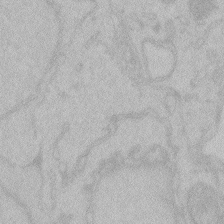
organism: Zebrafish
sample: Macrophage infected with Toxoplasma gondii